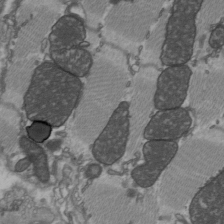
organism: C57BL Mouse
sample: Heart